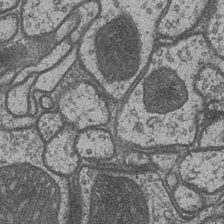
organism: Drosophila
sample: Optic medulla